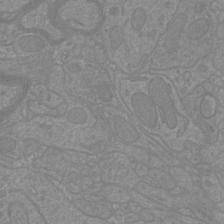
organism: Mouse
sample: Cortical neurons